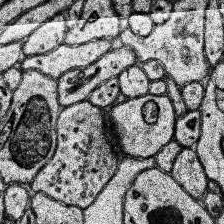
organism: Human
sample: Temporal Lobe